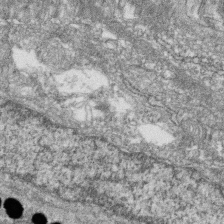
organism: Zebrafish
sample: Cilia; retinal pigment epithelium